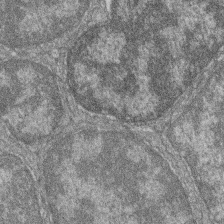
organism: Zebrafish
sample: Cilia; retinal pigment epithelium